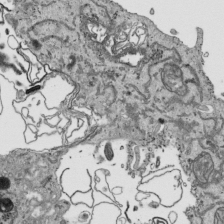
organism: Human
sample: Mitochondria in HCT116 cells